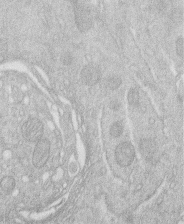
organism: Human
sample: Macrophage cells